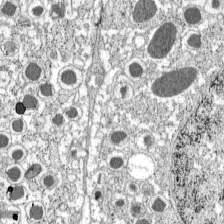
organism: C57BL Mouse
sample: Pancreatic islet